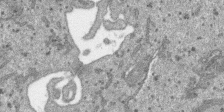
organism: Human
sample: Lung epithelial cells infected with SARS-CoV-2